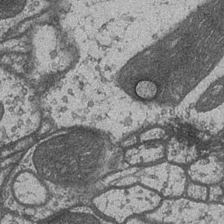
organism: Drosophila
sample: Optic medulla